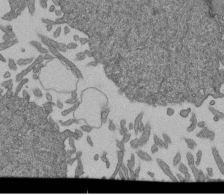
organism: Human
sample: Retinal organoid Rod and Cone cells